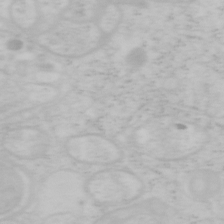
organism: Mouse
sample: OT-I killer T cells with ID8 ovarian cancer cells